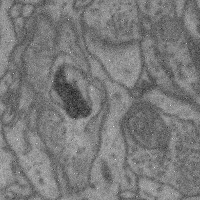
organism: Mouse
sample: Cerebral cortex